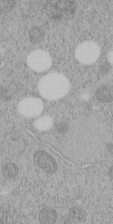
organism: C. elegans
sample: C. elegans embryo early stage